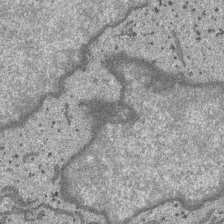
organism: Human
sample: Lung epithelial cells infected with SARS-CoV-2